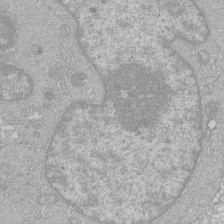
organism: Human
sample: Macrophage cells